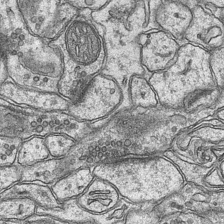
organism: Mouse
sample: CA1 Hippocampus